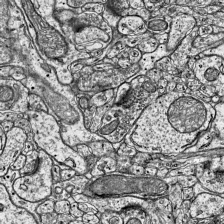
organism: Mouse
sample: Visual Cortex